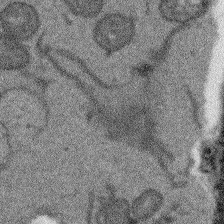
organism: Arabidopsis thaliana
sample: Root tip